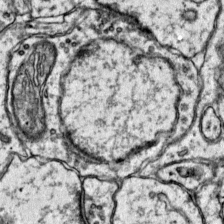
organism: Mouse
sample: Primary visual cortex